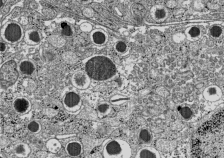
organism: C57BL Mouse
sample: Pancreatic islet